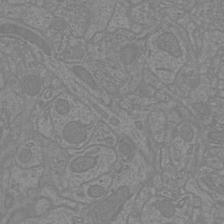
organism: Mouse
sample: Cortical neurons